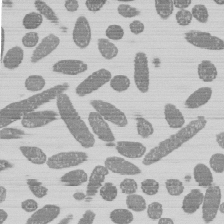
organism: E. coli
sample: Bacterial nucleoid